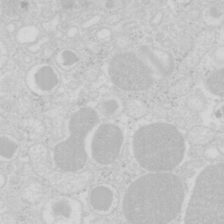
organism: Mouse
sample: Pancreas